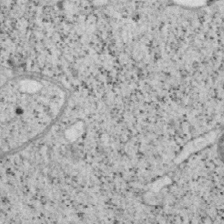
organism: Mouse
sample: OT-I killer T cells with ID8 ovarian cancer cells